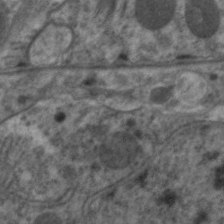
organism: C. elegans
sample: Pharynx